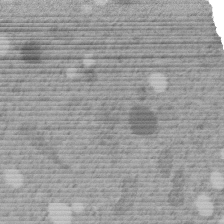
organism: C. elegans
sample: C. elegans embryo early stage